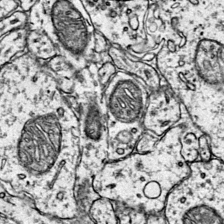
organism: Mouse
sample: Primary visual cortex